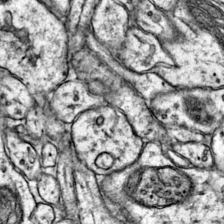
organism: Mouse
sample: Primary visual cortex